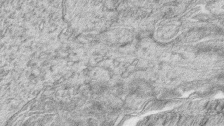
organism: Zebrafish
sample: synaptic ribbons in rod cells and cone cells